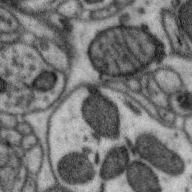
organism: Zebra finch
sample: Brain